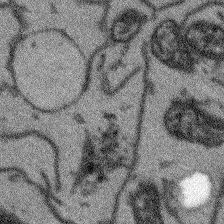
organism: Arabidopsis thaliana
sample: Root tip